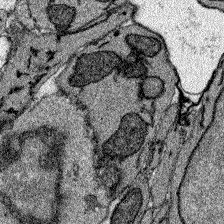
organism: Zebrafish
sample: Larval olfactory bulb